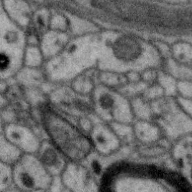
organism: Zebra finch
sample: Brain